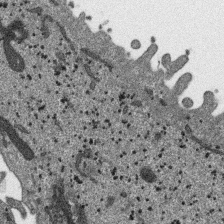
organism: Human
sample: Lung epithelial cells infected with SARS-CoV-2